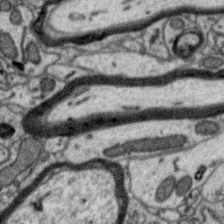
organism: Zebra finch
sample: Brain